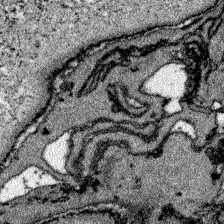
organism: Zebrafish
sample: Larval olfactory bulb